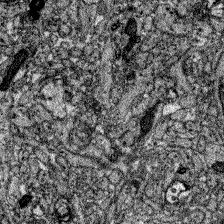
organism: Zebrafish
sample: Larval olfactory bulb